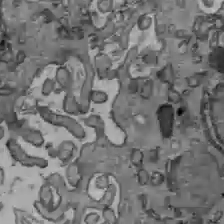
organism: C57BL Mouse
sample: Liver